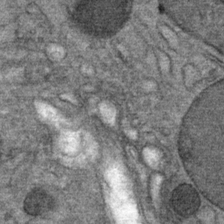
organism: Mouse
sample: Mouse Salivary gland